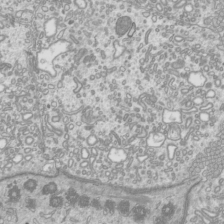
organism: Mouse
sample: Cilia; mouse epididymis